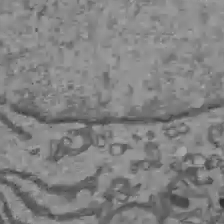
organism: C57BL Mouse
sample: Liver